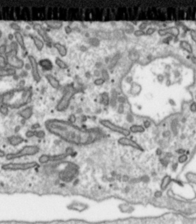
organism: Toxoplasma gondii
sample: Parasites in a vacuole inside a host cell